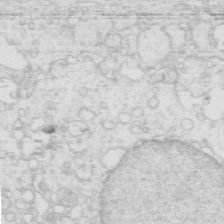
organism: Mouse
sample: Multiciliated cells